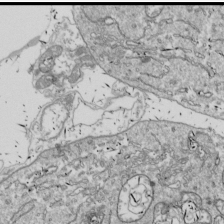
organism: Drosophila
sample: Cell division; meiosis; drosophila spermatocytes